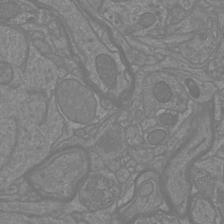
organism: Mouse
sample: Cortical neurons